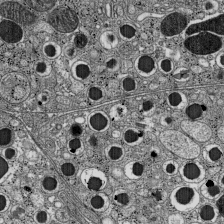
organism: C57BL Mouse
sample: Pancreatic islet